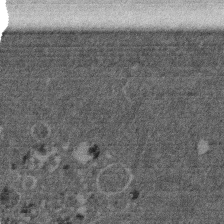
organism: Mouse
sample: Dividing mouse embryo 1 cell stage